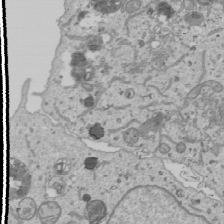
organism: Human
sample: Mitochondria in U2OS cells